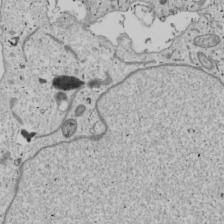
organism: Human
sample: Mitochondria in U2OS cells